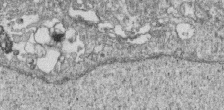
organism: Human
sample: HeLa cell HIV synapse